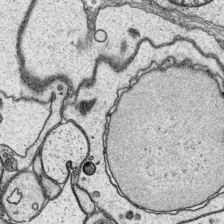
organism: Platynereis dumerilii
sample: Parapodia